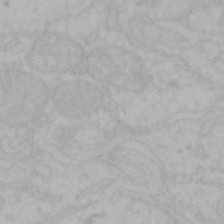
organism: Mouse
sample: Choroid plexus